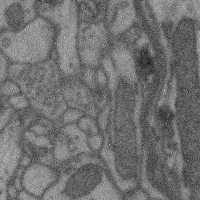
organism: Mouse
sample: Cerebral cortex